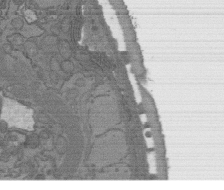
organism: C. elegans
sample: AFD neurons C. elegans